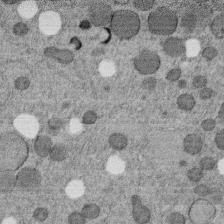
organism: C. elegans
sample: C. elegans embryo early stage